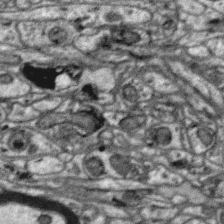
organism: Zebra finch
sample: Brain